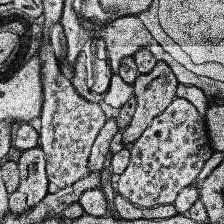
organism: Human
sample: Temporal Lobe